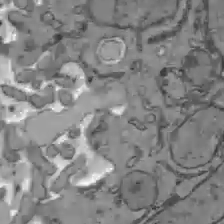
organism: C57BL Mouse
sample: Liver